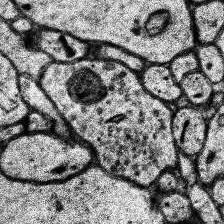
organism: Human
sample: Temporal Lobe